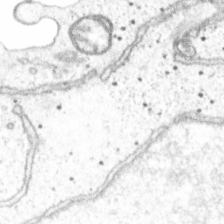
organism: Human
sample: HeLa cells